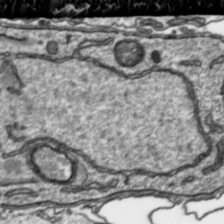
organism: Toxoplasma gondii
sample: Parasites in a vacuole inside a host cell